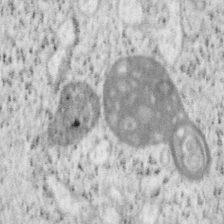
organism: Mouse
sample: OT-I killer T cells with ID8 ovarian cancer cells